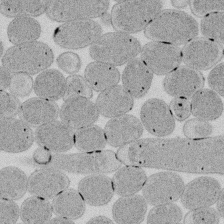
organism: E. coli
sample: Bacterial nucleoid